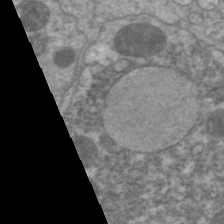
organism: C. elegans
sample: Pharynx